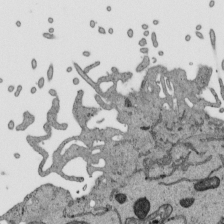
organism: Human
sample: Mitochondria in HCT116 cells